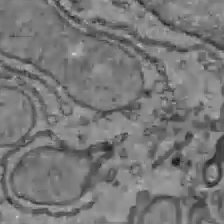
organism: C57BL Mouse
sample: Liver